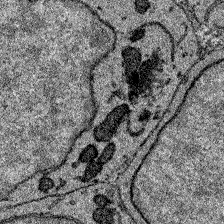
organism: Zebrafish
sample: Larval olfactory bulb